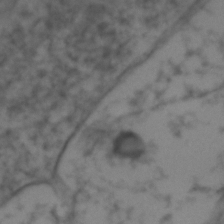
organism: Zebrafish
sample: Zebrafish embryo